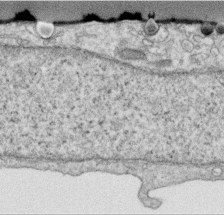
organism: Human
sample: Centriole in RPE cells